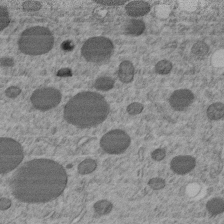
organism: C. elegans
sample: C. elegans embryo early stage